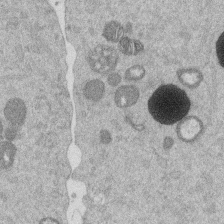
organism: Mouse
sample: Dividing mouse embryo 1 cell stage